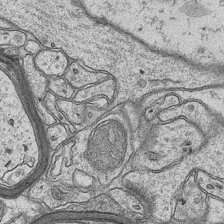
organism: Mouse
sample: CA1 Hippocampus